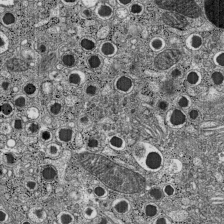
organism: C57BL Mouse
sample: Pancreatic islet